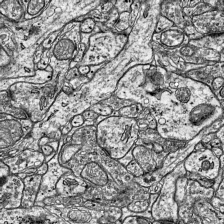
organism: Mouse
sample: Visual Cortex